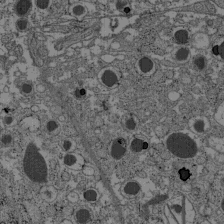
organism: C57BL Mouse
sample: Pancreatic islet